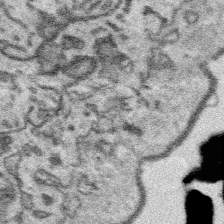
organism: Platynereis dumerilii